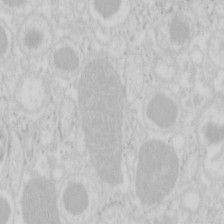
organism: Mouse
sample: Pancreas